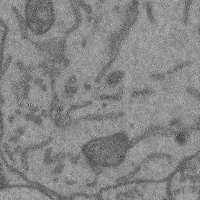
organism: Mouse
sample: Cerebral cortex